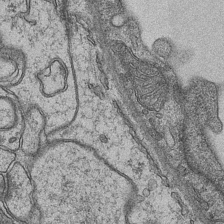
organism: Mouse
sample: CA1 Hippocampus